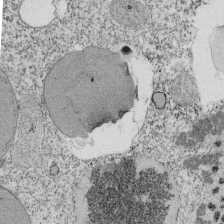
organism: Tetrahymena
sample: Cilia in tetrahymena